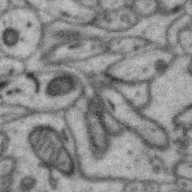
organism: Zebra finch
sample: Brain